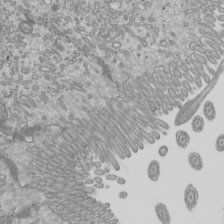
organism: Mouse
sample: Cilia; mouse epididymis